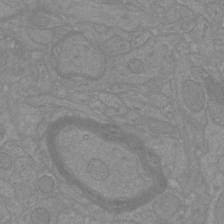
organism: Mouse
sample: Cortical neurons